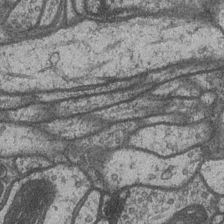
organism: Drosophila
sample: Optic medulla